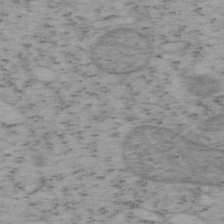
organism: Mouse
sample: OT-I killer T cells with ID8 ovarian cancer cells